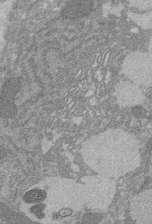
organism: Rat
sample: Salivary granule